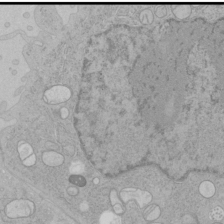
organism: Human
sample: Mitochondria in HCT116 cells